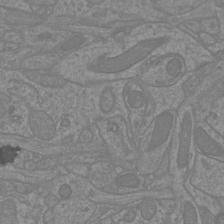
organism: Mouse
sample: Cortical neurons